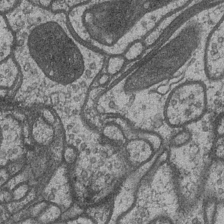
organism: Drosophila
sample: Optic medulla